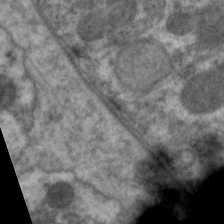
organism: C. elegans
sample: Pharynx